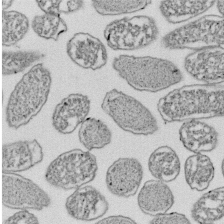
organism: E. coli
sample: Bacterial nucleoid